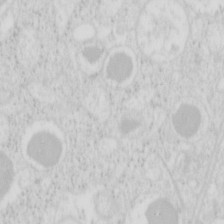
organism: Mouse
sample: Pancreas